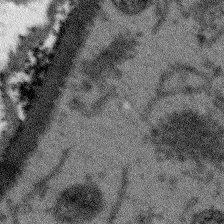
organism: Arabidopsis thaliana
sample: Root tip